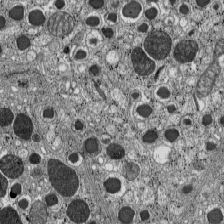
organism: C57BL Mouse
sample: Pancreatic islet